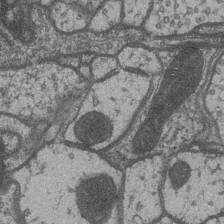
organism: Drosophila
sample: Optic medulla